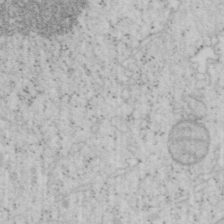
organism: Human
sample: HeLa cells